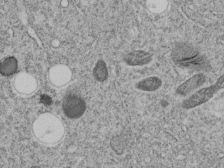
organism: C. elegans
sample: C. elegans embryo early stage